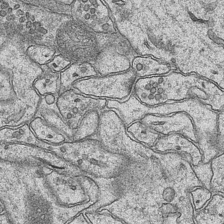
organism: Mouse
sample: CA1 Hippocampus